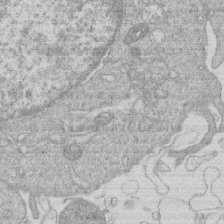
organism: Human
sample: Macrophage cells